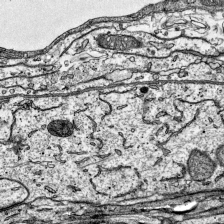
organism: Mouse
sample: Visual Cortex